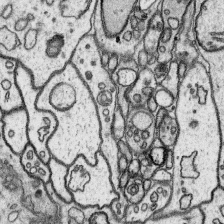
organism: Platynereis dumerilii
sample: Parapodia